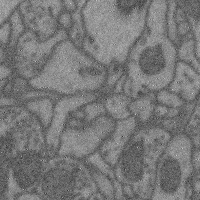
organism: Mouse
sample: Cerebral cortex